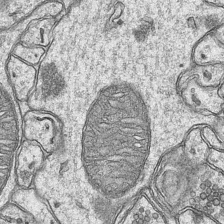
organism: Mouse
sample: CA1 Hippocampus